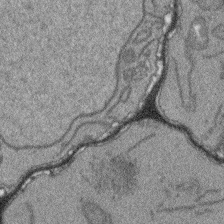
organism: Arabidopsis thaliana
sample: Root tip